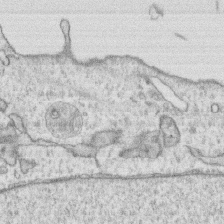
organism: Human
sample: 1205lu cells